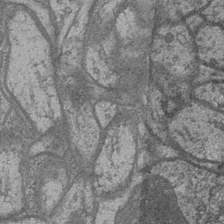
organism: Drosophila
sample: Optic medulla